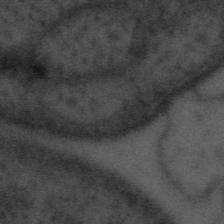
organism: Tuwongella immobilis